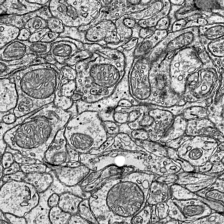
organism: Mouse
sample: Visual Cortex